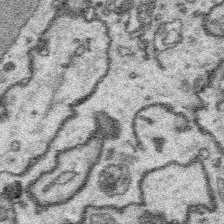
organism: Platynereis dumerilii